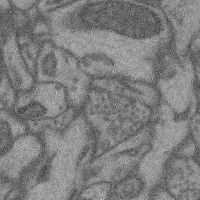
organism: Mouse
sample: Cerebral cortex